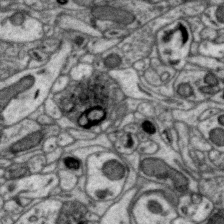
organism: Zebra finch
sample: Brain